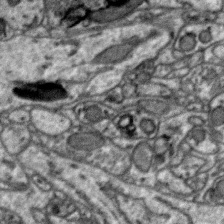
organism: Zebra finch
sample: Brain